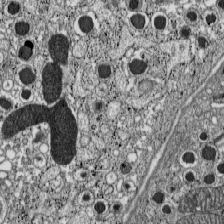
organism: C57BL Mouse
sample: Pancreatic islet